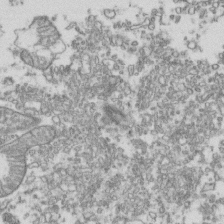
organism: Human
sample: Activated Jurkat CD4+ T cells